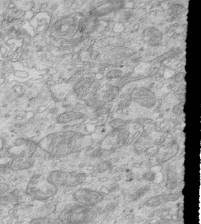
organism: Mouse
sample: Multiciliated cells